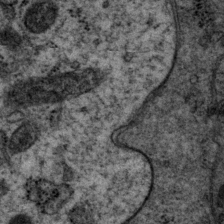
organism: P. pacificus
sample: Pharynx